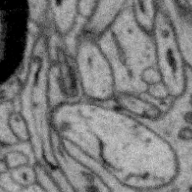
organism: Zebra finch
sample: Brain